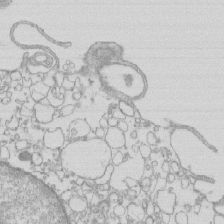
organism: Mouse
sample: Macrophages